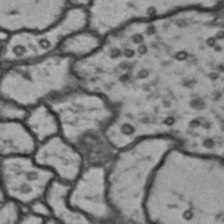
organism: Drosophila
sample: Brain